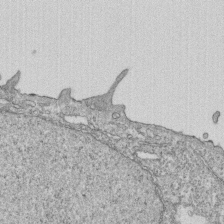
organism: Human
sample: HeLa cell HIV synapse